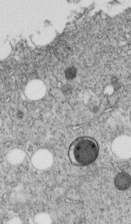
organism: C. elegans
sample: C. elegans embryo early stage